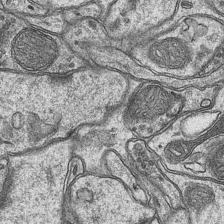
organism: Mouse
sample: CA1 Hippocampus